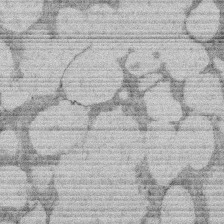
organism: Rat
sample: Salivary granule